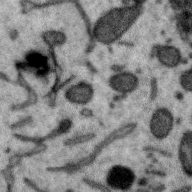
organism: Zebra finch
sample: Brain